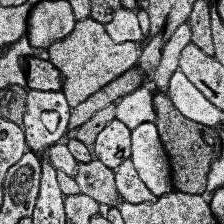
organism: Human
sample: Temporal Lobe